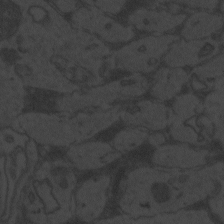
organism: Zebrafish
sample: Macrophage infected with Toxoplasma gondii